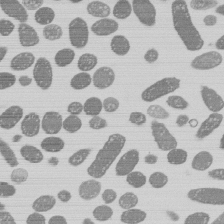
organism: E. coli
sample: Bacterial nucleoid